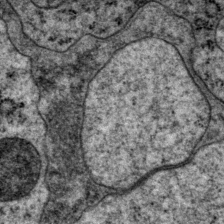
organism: P. pacificus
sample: Pharynx